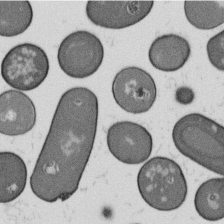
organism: B. subtilis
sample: Bacterial spore